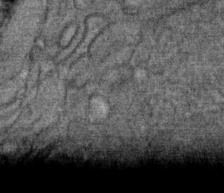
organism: Mouse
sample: Mouse Salivary gland